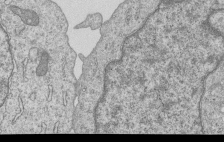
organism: Human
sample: MDA-MB-231 cells